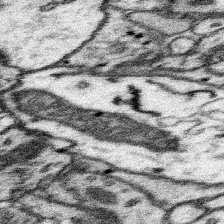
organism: Mouse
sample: Somatosensory cortex neuropil